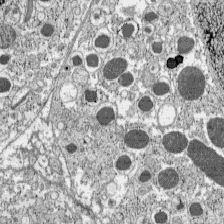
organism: C57BL Mouse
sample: Pancreatic islet